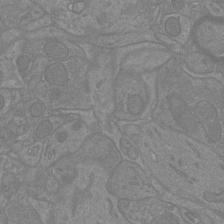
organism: Mouse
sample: Cortical neurons